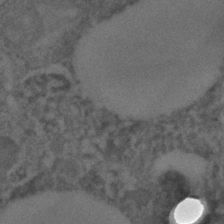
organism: C. elegans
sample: C. elegans embryo